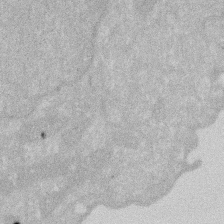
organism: Human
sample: HIV infected U937 cells